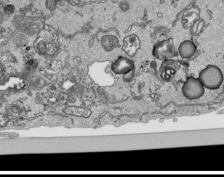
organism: Human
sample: Mitochondria in HCT116 cells